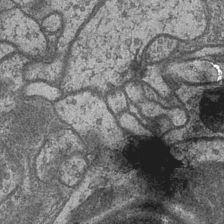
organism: Drosophila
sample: Optic medulla